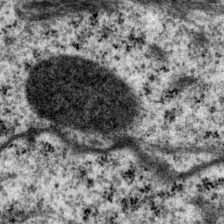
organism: P. pacificus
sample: Pharynx